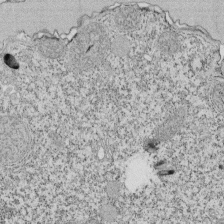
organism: Tetrahymena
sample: Cilia in tetrahymena